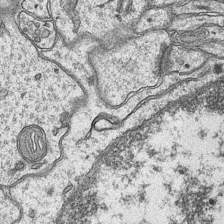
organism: Mouse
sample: CA1 Hippocampus